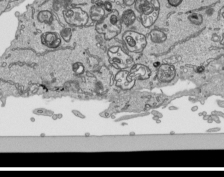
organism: Human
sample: Mitochondria in HCT116 cells